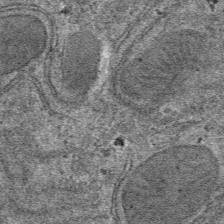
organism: Mouse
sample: Mouse hepatocytes